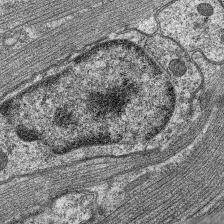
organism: C. elegans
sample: Pharynx